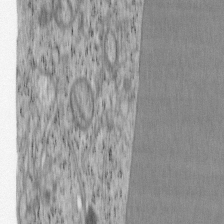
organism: Human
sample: HeLa cells